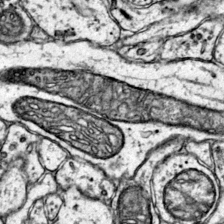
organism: Mouse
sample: Primary visual cortex